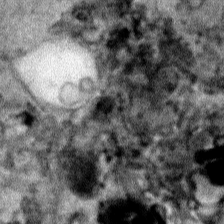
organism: Human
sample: Mitochondria in HCT116 cells